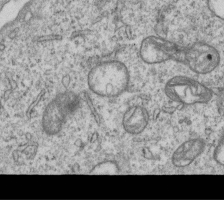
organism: Human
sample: MDA-MB-231 cells